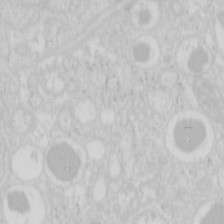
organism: Mouse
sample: Pancreas